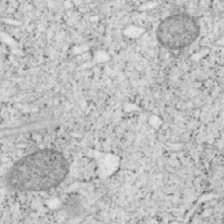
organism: Mouse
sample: OT-I killer T cells with ID8 ovarian cancer cells